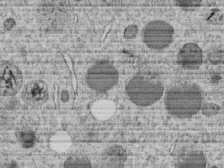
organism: C. elegans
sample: C. elegans embryo early stage